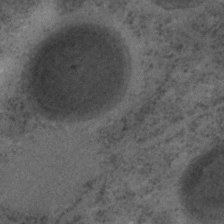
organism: C. elegans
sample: C. elegans embryo